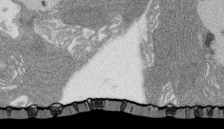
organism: Rat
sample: Salivary granule